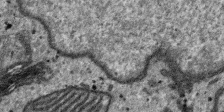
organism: Human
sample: Lung epithelial cells, uninfected (mock) control